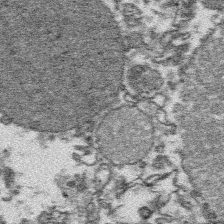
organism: Platynereis dumerilii